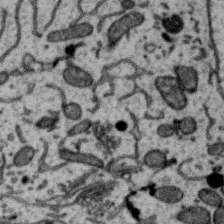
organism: Zebra finch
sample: Brain